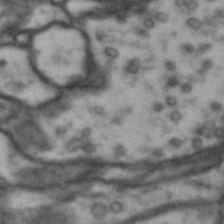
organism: Drosophila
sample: Brain